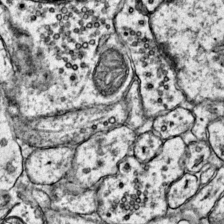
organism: Mouse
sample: Primary visual cortex